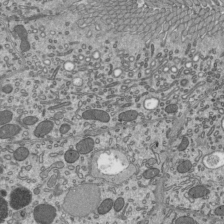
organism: Mouse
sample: Mouse epididymis efferent ductule cilia